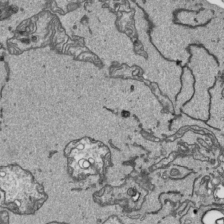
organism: Human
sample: Mitochondria in HCT116 cells